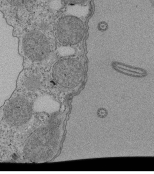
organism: Tetrahymena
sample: Cilia in tetrahymena